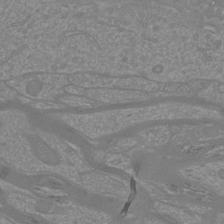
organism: Mouse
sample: Cortical neurons